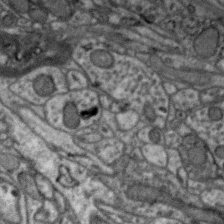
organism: Zebra finch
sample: Brain